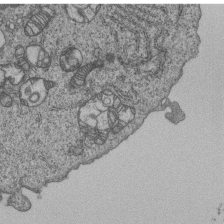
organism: Human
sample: MDA-MB-231 cells